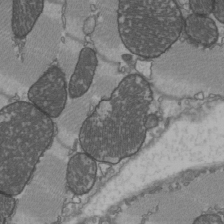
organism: C57BL Mouse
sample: Heart